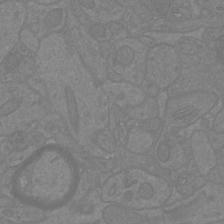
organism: Mouse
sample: Cortical neurons